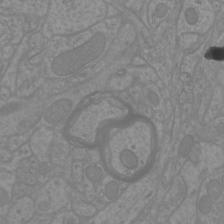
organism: Mouse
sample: Cortical neurons